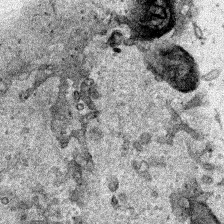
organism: Human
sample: Mitochondria in HCT116 cells